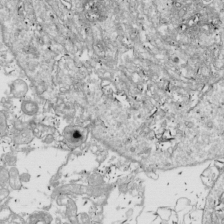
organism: Drosophila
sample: Cell division; meiosis; drosophila spermatocytes